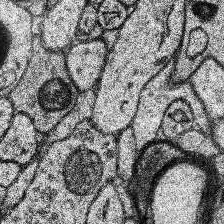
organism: Human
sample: Temporal Lobe